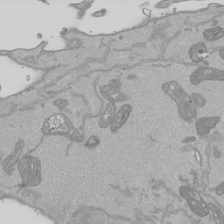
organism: Human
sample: Mitochondria in HCT116 cells